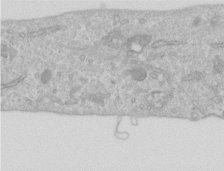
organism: Human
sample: Centriole in RPE cells